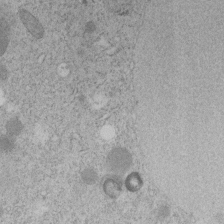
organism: C. elegans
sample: C. elegans embryo early stage